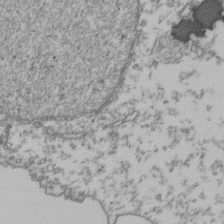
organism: Human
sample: Activated Jurkat CD4+ T cells